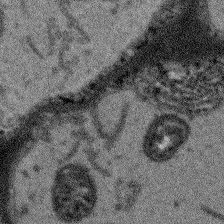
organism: Arabidopsis thaliana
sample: Root tip